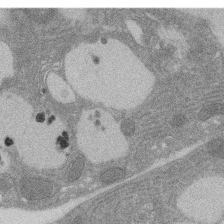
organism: Rat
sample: Salivary granule